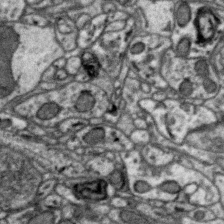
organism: Zebra finch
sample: Brain